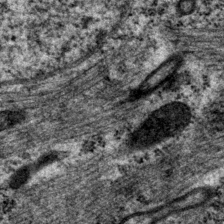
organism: P. pacificus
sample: Pharynx